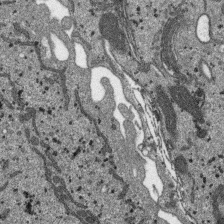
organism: Human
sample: Lung epithelial cells infected with SARS-CoV-2